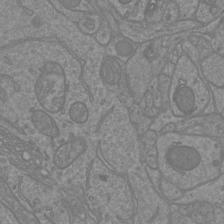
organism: Mouse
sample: Cortical neurons